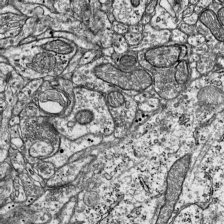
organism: Mouse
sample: Visual Cortex